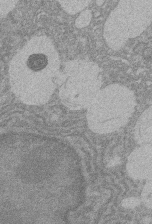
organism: Rat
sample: Salivary granule